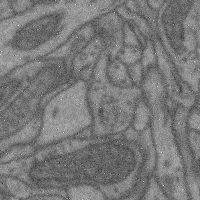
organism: Mouse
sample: Cerebral cortex